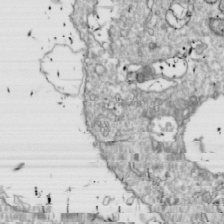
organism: Drosophila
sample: Cell division; meiosis; drosophila spermatocytes